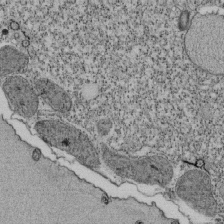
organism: Tetrahymena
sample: Cilia in tetrahymena